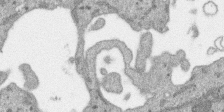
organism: Human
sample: Lung epithelial cells infected with SARS-CoV-2